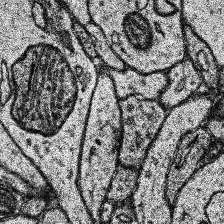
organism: Human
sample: Temporal Lobe